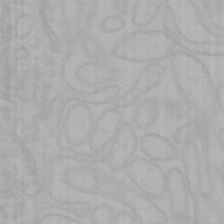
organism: Mouse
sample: Choroid plexus